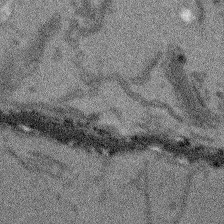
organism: Arabidopsis thaliana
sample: Root tip